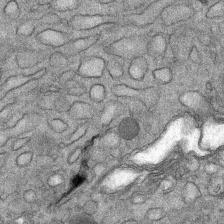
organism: Mouse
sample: Mouse Salivary gland